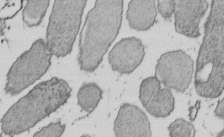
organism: E. coli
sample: Bacterial nucleoid